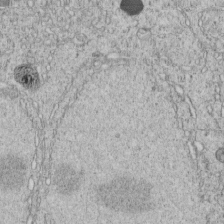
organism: C. elegans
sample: C. elegans embryo early stage